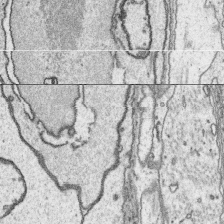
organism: Platynereis dumerilii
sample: Parapodia